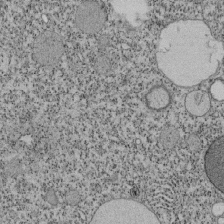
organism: Tetrahymena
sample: Cilia in tetrahymena